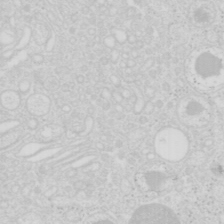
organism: Mouse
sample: Pancreas